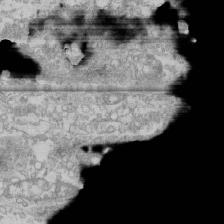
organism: Human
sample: CRL-1474